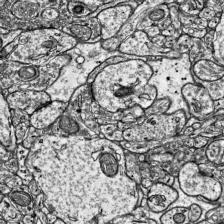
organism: Mouse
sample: Visual Cortex